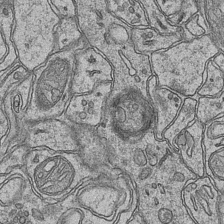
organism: Mouse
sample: CA1 Hippocampus